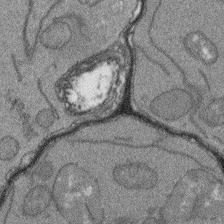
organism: Arabidopsis thaliana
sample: Root tip